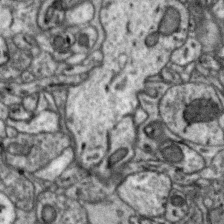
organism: Zebra finch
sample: Brain